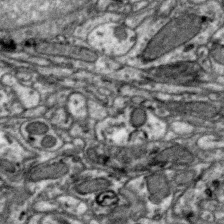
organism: Zebra finch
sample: Brain